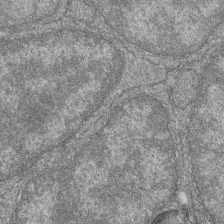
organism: Zebrafish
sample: Cilia; retinal pigment epithelium